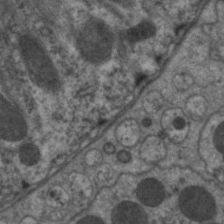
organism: C. elegans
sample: Pharynx